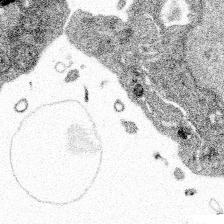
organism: Spongilla lacustris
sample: Multiple